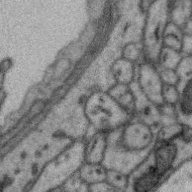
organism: Zebra finch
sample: Brain